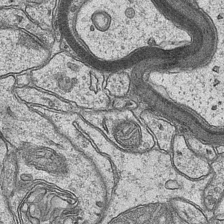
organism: Mouse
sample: CA1 Hippocampus